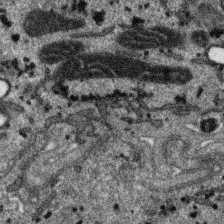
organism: Human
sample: Lung epithelial cells infected with SARS-CoV-2